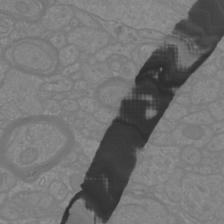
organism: Mouse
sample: Cortical neurons